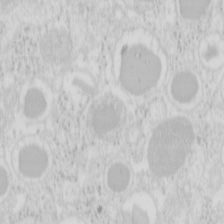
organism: Mouse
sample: Pancreas